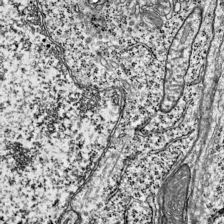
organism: Mouse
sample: Visual Cortex